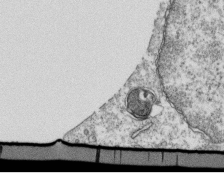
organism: Mouse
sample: Activated OT-1 CD8+ T cells